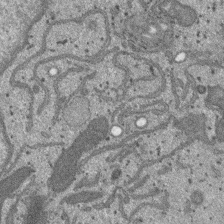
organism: Human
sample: Lung epithelial cells infected with SARS-CoV-2